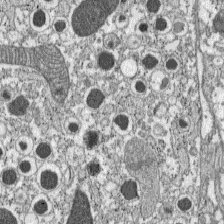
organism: C57BL Mouse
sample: Pancreatic islet